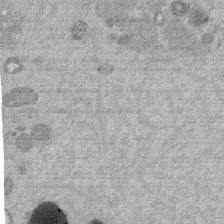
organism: Mouse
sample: Dividing mouse embryo 1 cell stage